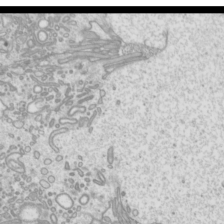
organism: Mouse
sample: Cilia; mouse epididymis